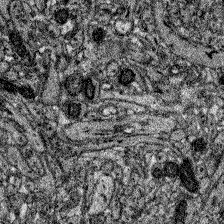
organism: Zebrafish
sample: Larval olfactory bulb